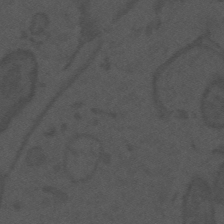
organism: Mouse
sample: Suprachiasmatic nucleus